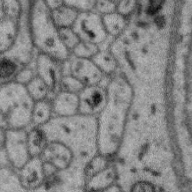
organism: Zebra finch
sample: Brain